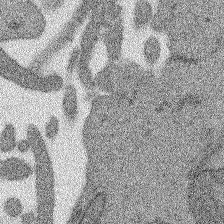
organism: Human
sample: HeLa cells